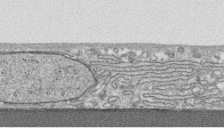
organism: Human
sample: CRL-1474